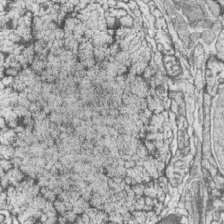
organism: Zebrafish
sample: synaptic ribbons in rod cells and cone cells